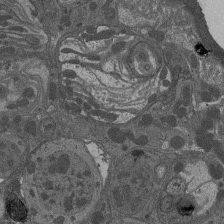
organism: Drosophila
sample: Antenna